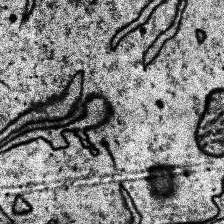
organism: Human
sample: Temporal Lobe